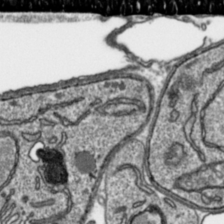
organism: Toxoplasma gondii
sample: Parasites in a vacuole inside a host cell